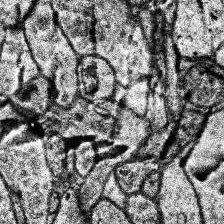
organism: Human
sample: Temporal Lobe